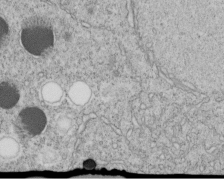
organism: C. elegans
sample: C. elegans embryo early stage